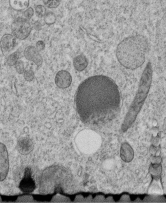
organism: C. elegans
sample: C. elegans embryo early stage